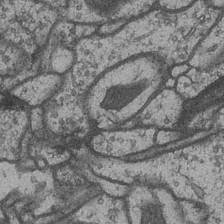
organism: Drosophila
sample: Optic medulla